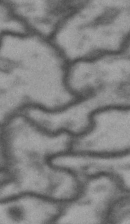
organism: Drosophila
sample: Brain